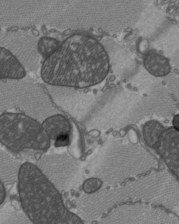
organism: C57BL Mouse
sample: Heart